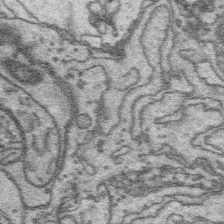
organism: Platynereis dumerilii